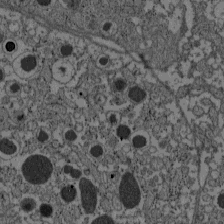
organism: C57BL Mouse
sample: Pancreatic islet